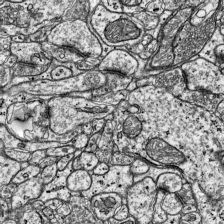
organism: Mouse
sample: Visual Cortex